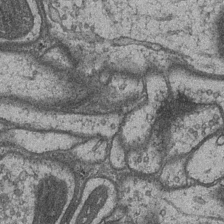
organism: Drosophila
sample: Optic medulla